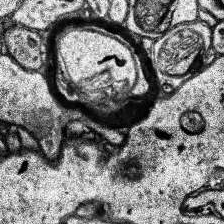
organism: Human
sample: Temporal Lobe